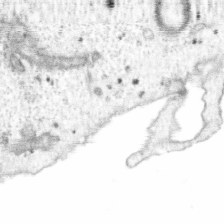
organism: Human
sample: HeLa cells